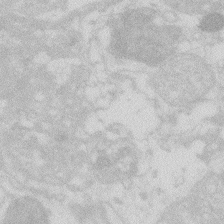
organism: Zebrafish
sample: Macrophage